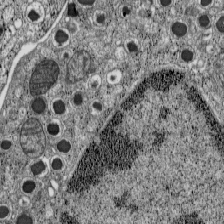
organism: C57BL Mouse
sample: Pancreatic islet